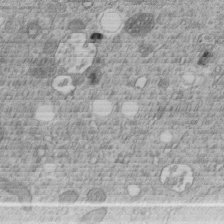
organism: C. elegans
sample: C. elegans embryo early stage